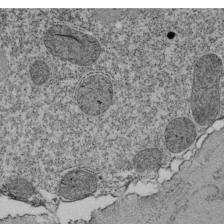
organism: Tetrahymena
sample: Cilia in tetrahymena